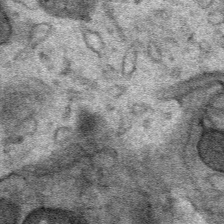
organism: Mouse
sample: Mouse Salivary gland